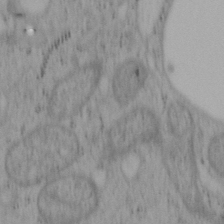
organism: Mouse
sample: OT-I killer T cells with ID8 ovarian cancer cells